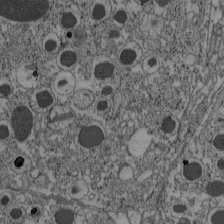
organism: C57BL Mouse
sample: Pancreatic islet